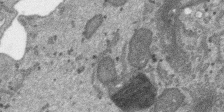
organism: Human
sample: Lung epithelial cells infected with SARS-CoV-2